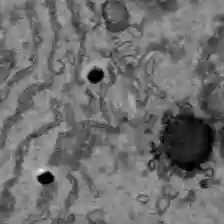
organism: C57BL Mouse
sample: Liver